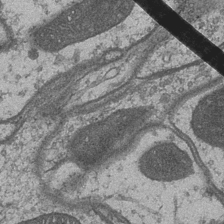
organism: Drosophila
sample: Optic medulla